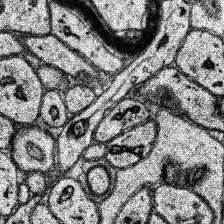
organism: Human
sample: Temporal Lobe